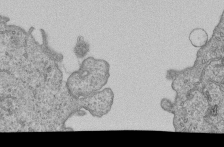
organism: Human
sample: MDA-MB-231 cells